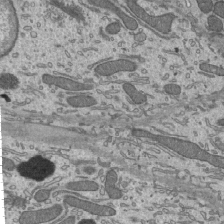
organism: Mouse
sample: Mouse epididymis efferent ductule cilia